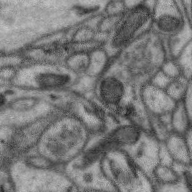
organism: Zebra finch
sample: Brain